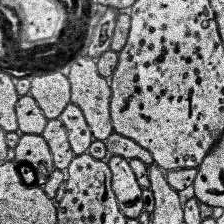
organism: Human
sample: Temporal Lobe